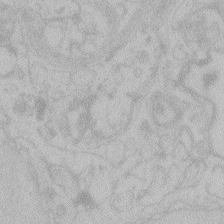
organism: Zebrafish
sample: Macrophage infected with Toxoplasma gondii